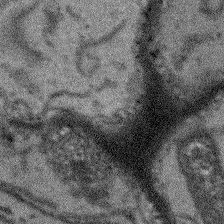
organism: Arabidopsis thaliana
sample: Root tip